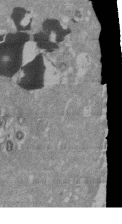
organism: Mouse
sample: ED-1 cell nuclei; centrioles